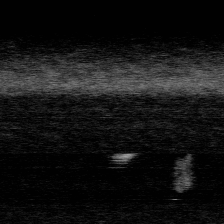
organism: Human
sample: HeLa cells